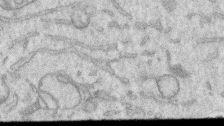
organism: Human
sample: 1205lu cells